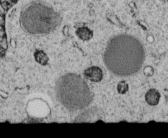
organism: C. elegans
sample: C. elegans embryo early stage